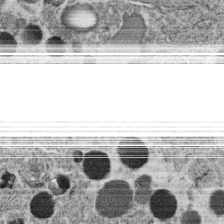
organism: C. elegans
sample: C. elegans oocyte; sperm cells